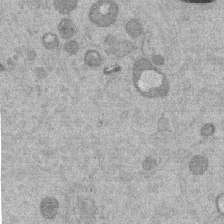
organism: Mouse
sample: Dividing mouse embryo 1 cell stage